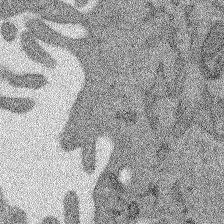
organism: Human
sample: HeLa cells